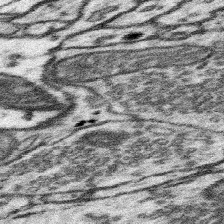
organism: Mouse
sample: Somatosensory cortex neuropil